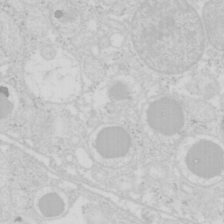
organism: Mouse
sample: Pancreas